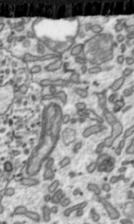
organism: Toxoplasma gondii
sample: Parasites in a vacuole inside a host cell